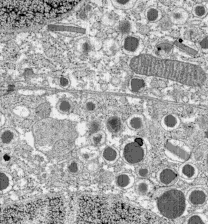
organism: C57BL Mouse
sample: Pancreatic islet